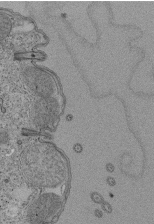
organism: Tetrahymena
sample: Cilia in tetrahymena